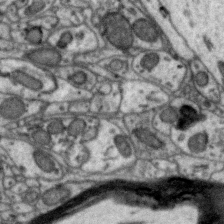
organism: Zebra finch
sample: Brain